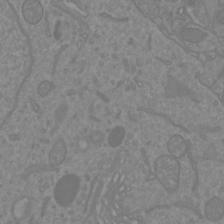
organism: Mouse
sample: Cortical neurons